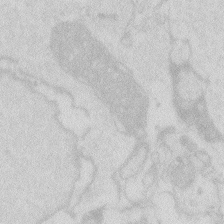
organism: Zebrafish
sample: Macrophage